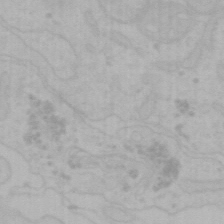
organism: Mouse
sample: Choroid plexus